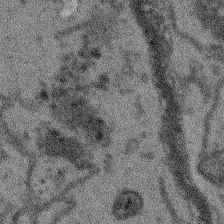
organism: Arabidopsis thaliana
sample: Root tip